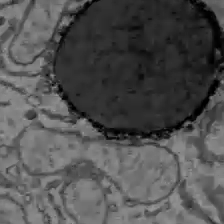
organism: C57BL Mouse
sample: Liver